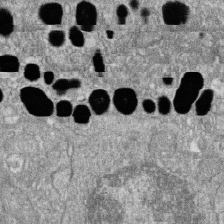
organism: Zebrafish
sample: Cilia; retinal pigment epithelium